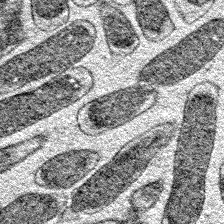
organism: E. coli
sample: E. Coli Bacteria